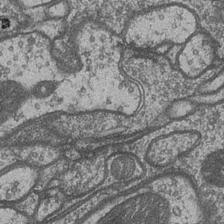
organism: Drosophila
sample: Optic medulla